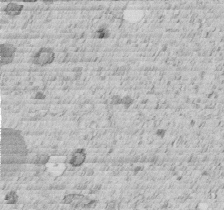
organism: C. elegans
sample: C. elegans embryo early stage